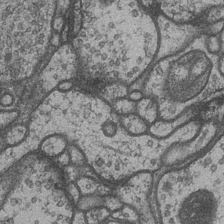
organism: Drosophila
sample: Optic medulla